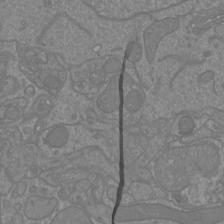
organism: Mouse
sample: Cortical neurons